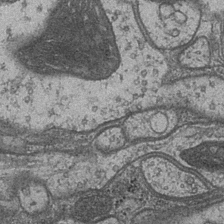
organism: Drosophila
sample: Optic medulla